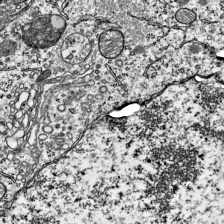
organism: Mouse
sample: Visual Cortex